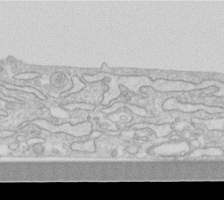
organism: Human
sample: Fibroblast cells